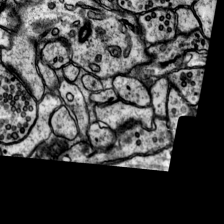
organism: Rat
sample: Hippocampus